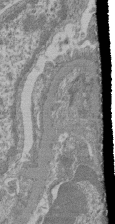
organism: Mouse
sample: Glomerulus